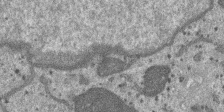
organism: Human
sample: Lung epithelial cells infected with SARS-CoV-2